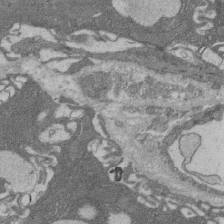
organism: Rat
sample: Salivary granule